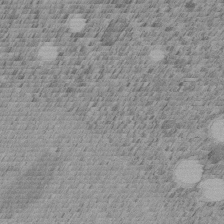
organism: C. elegans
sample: C. elegans embryo early stage